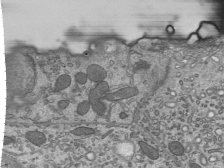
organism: Mouse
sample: Mouse epididymis efferent ductule cilia